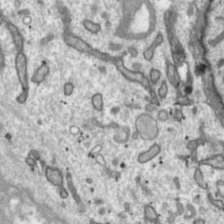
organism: Toxoplasma gondii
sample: Parasites in a vacuole inside a host cell